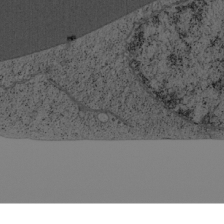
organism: African green monkey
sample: COS-7 cells